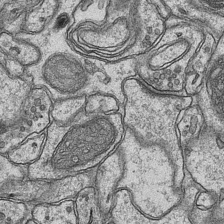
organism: Mouse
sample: CA1 Hippocampus